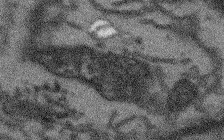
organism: Arabidopsis thaliana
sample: Root tip